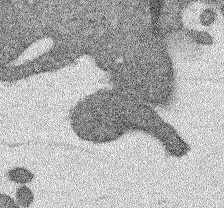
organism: Human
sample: HeLa cells